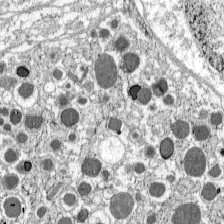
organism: C57BL Mouse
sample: Pancreatic islet